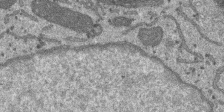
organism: Human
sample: Lung epithelial cells infected with SARS-CoV-2